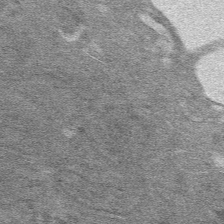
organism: Mouse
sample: Mouse hepatocytes